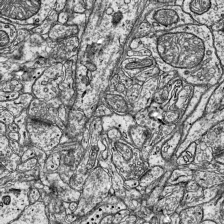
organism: Mouse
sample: Visual Cortex